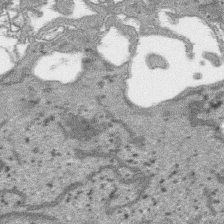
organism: Human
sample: Lung epithelial cells infected with SARS-CoV-2